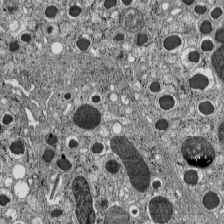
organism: C57BL Mouse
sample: Pancreatic islet